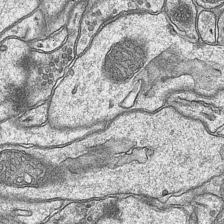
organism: Mouse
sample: CA1 Hippocampus